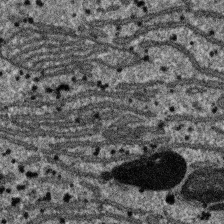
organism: Human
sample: Lung epithelial cells infected with SARS-CoV-2